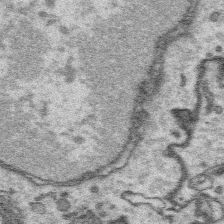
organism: Platynereis dumerilii